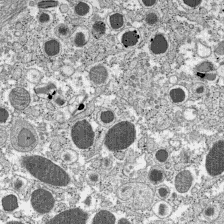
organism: C57BL Mouse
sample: Pancreatic islet